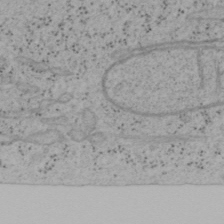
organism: Human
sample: HeLa cells